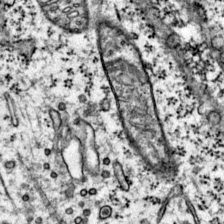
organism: Mouse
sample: Primary visual cortex